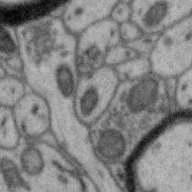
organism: Zebra finch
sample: Brain